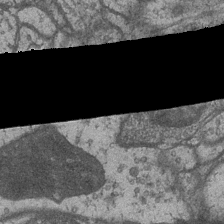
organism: Drosophila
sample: Optic medulla